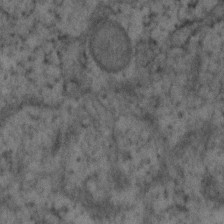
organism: Human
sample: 1205lu cells